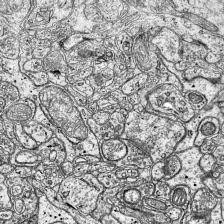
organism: Mouse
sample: Visual Cortex